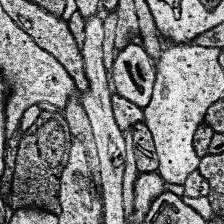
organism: Human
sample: Temporal Lobe